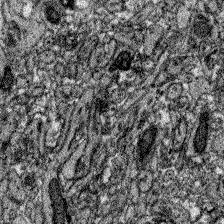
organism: Zebrafish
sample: Larval olfactory bulb